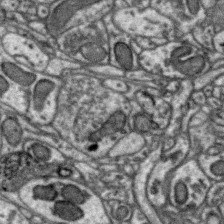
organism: Zebra finch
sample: Brain